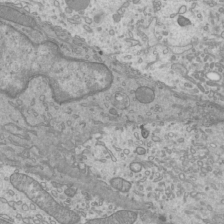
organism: Mouse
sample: Cilia; mouse epididymis